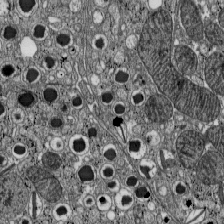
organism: C57BL Mouse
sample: Pancreatic islet